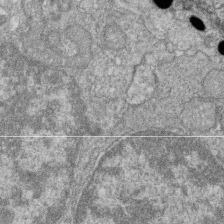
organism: Zebrafish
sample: Cilia; retinal pigment epithelium